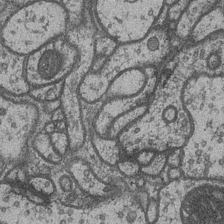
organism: Drosophila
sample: Optic medulla